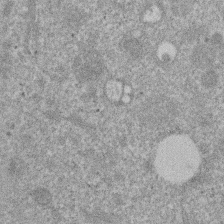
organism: Mouse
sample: Dividing mouse embryo 1 cell stage